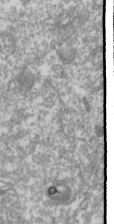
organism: Drosophila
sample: Cell division; meiosis; drosophila spermatocytes